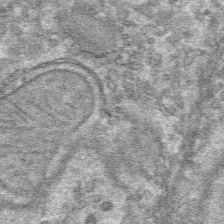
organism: Mouse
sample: Mouse hepatocytes